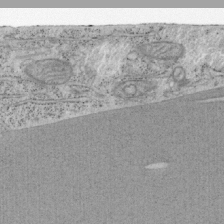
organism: Human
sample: HeLa cells